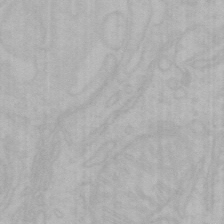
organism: Mouse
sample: Choroid plexus